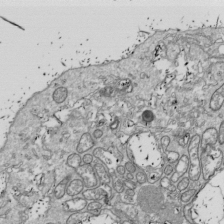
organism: Drosophila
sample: Cell division; meiosis; drosophila spermatocytes